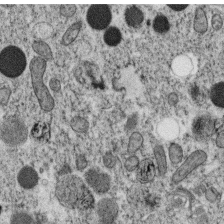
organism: C. elegans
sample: C. elegans oocyte; sperm cells